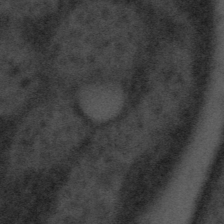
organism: Tuwongella immobilis